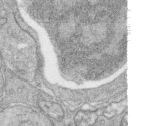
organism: Zebrafish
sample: synaptic ribbons in rod cells and cone cells